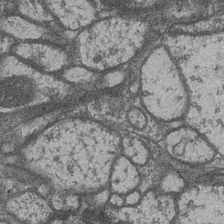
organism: Drosophila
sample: Optic medulla